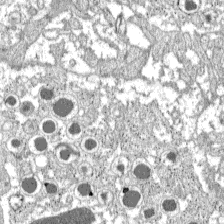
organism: C57BL Mouse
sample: Pancreatic islet